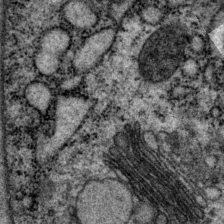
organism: P. pacificus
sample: Pharynx